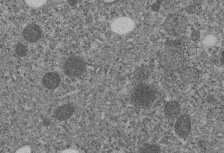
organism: C. elegans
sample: C. elegans embryo early stage